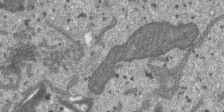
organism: Human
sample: Lung epithelial cells infected with SARS-CoV-2